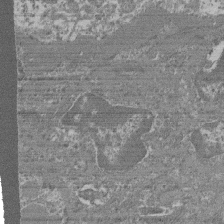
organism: Mouse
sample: Glomerulus